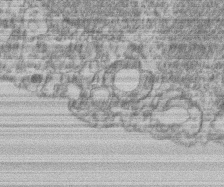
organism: Mouse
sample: T cell stromal cell synapse